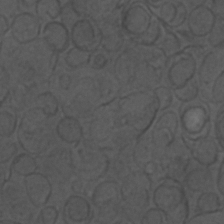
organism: C. elegans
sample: C. elegans embryo